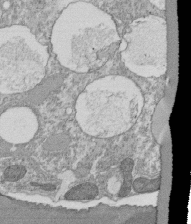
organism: Tetrahymena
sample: Cilia in tetrahymena